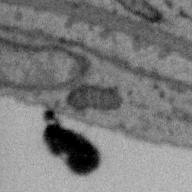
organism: Zebra finch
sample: Brain